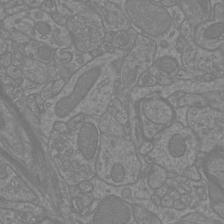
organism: Mouse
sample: Cortical neurons